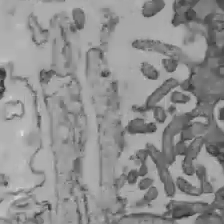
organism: C57BL Mouse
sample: Liver